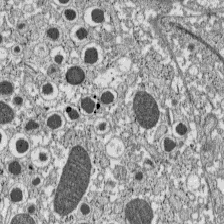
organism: C57BL Mouse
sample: Pancreatic islet